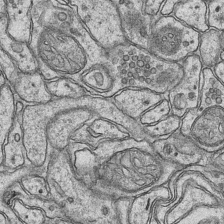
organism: Mouse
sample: CA1 Hippocampus